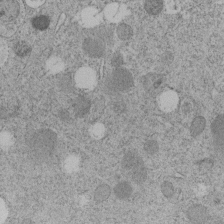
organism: C. elegans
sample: C. elegans embryo early stage